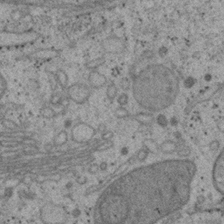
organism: Human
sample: HeLa cells